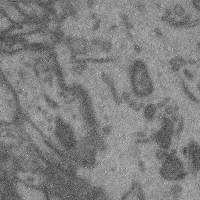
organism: Mouse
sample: Cerebral cortex